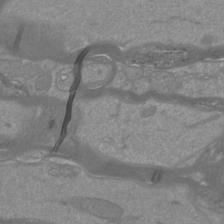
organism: Mouse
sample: Cortical neurons